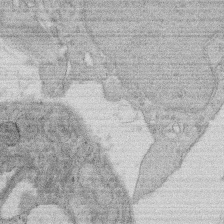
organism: Rat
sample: Salivary granule